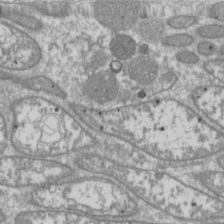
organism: Drosophila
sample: Cell division; meiosis; drosophila spermatocytes